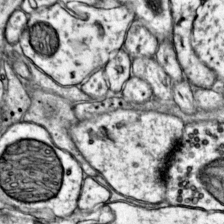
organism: Mouse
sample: Primary visual cortex